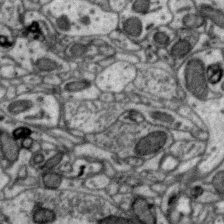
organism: Zebra finch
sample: Brain